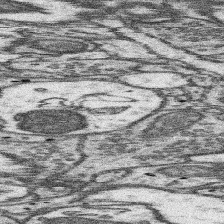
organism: Mouse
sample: Somatosensory cortex neuropil